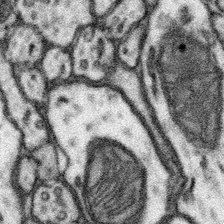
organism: Mouse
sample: Somatosensory cortex neuropil